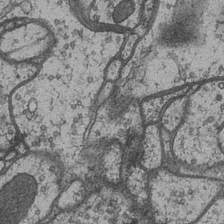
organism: Drosophila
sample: Optic medulla